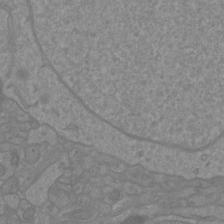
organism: Mouse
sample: Cortical neurons